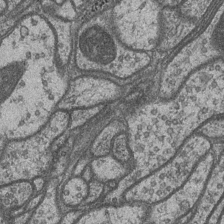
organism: Drosophila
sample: Optic medulla